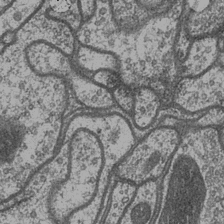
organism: Drosophila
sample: Optic medulla